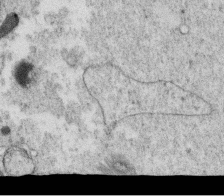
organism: C. elegans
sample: C. elegans oocyte; sperm cells